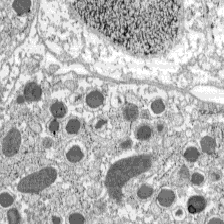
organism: C57BL Mouse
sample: Pancreatic islet